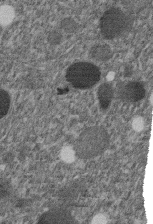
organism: C. elegans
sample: C. elegans embryo early stage